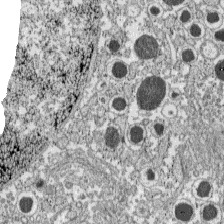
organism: C57BL Mouse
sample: Pancreatic islet